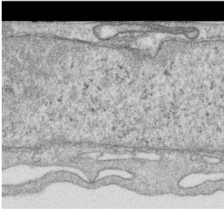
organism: Human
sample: Centriole in RPE cells